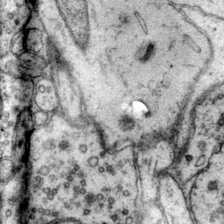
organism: Mouse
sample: Primary visual cortex